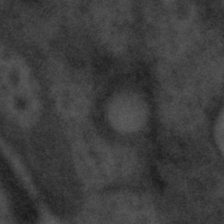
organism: Tuwongella immobilis